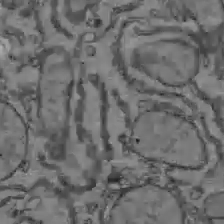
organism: C57BL Mouse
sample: Liver